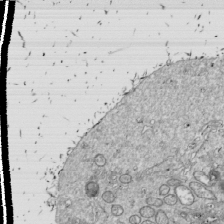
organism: Drosophila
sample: Cell division; meiosis; drosophila spermatocytes